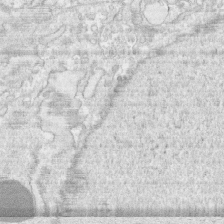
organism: Human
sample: CRL-1474